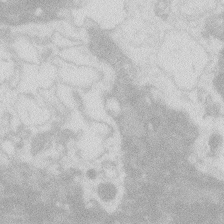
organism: Zebrafish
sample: Macrophage